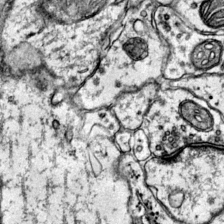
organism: Mouse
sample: Primary visual cortex